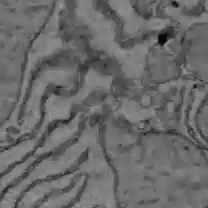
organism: C57BL Mouse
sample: Liver